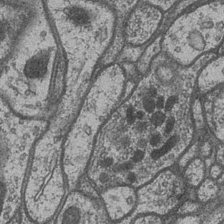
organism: Drosophila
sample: Optic medulla